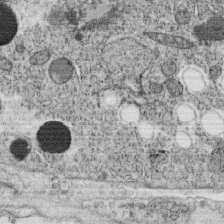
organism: C. elegans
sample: C. elegans oocyte; sperm cells